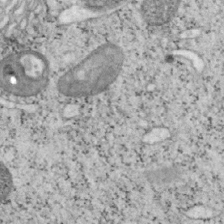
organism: Mouse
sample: OT-I killer T cells with ID8 ovarian cancer cells